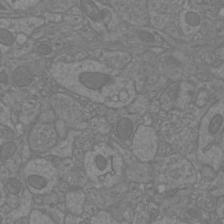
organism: Mouse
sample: Cortical neurons